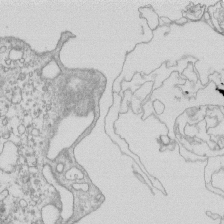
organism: Mouse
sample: Macrophages